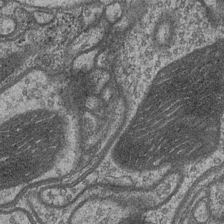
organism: Drosophila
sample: Optic medulla